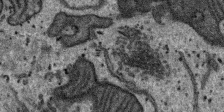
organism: Human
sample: Lung epithelial cells, uninfected (mock) control